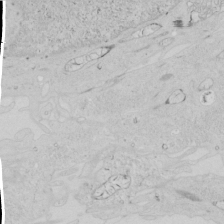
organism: Human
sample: Mitochondria in HCT116 cells